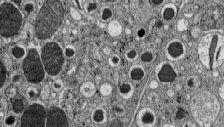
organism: C57BL Mouse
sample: Pancreatic islet